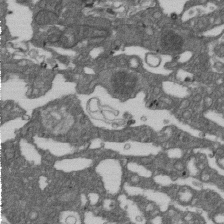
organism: Drosophila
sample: Nephrocyte